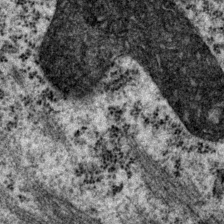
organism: P. pacificus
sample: Pharynx